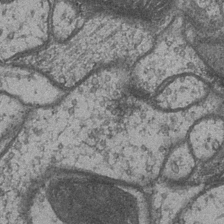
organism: Drosophila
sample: Optic medulla